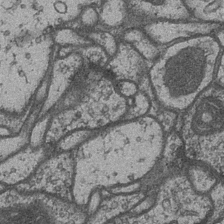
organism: Drosophila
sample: Optic medulla